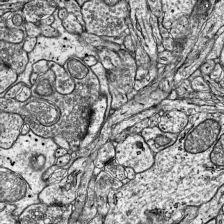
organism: Mouse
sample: Visual Cortex